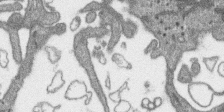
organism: Human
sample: Lung epithelial cells infected with SARS-CoV-2